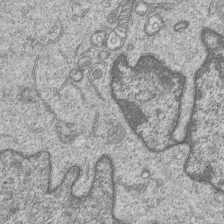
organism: Human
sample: MDA-MB-231 cells